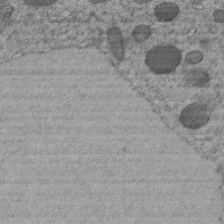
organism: C. elegans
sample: C. elegans embryo early stage